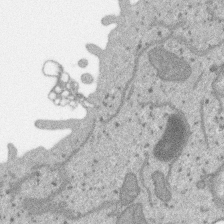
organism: Human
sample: Lung epithelial cells infected with SARS-CoV-2